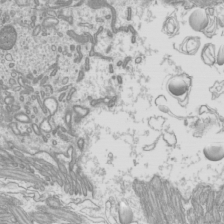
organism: Mouse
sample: Cilia; mouse epididymis